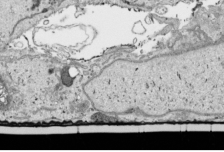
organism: Human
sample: Mitochondria in HCT116 cells